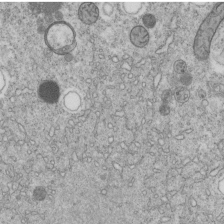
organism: C. elegans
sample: C. elegans embryo early stage